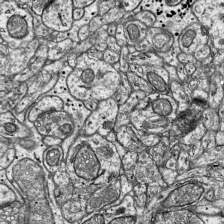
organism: Mouse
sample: Visual Cortex